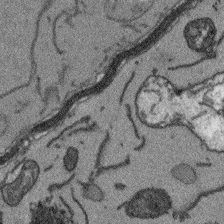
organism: Arabidopsis thaliana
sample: Root tip